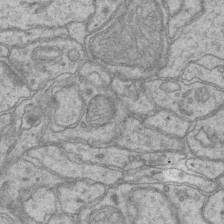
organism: Mouse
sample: CA1 Hippocampus